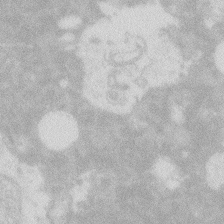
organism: Zebrafish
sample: Macrophage